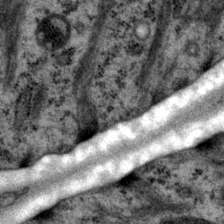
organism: P. pacificus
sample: Pharynx